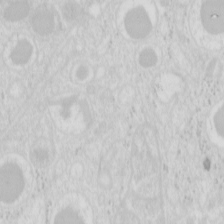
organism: Mouse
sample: Pancreas